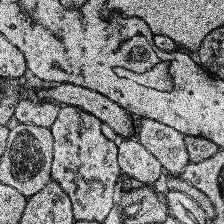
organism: Human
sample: Temporal Lobe